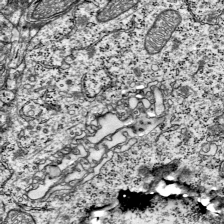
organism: Mouse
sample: Visual Cortex